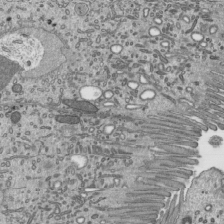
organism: Mouse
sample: Mouse epididymis efferent ductule cilia